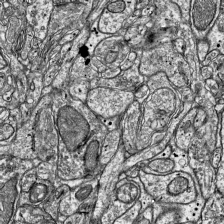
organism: Mouse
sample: Visual Cortex